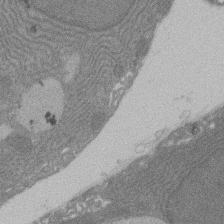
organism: Rat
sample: Salivary granule